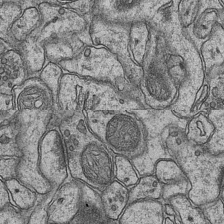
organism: Mouse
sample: CA1 Hippocampus